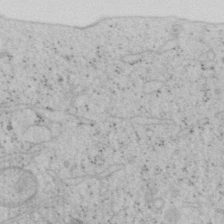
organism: Human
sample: HeLa cells